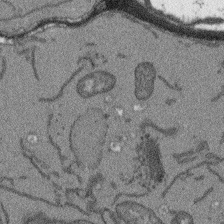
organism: Arabidopsis thaliana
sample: Root tip